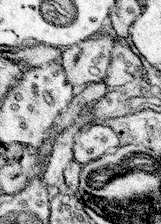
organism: Mouse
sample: Somatosensory cortex neuropil